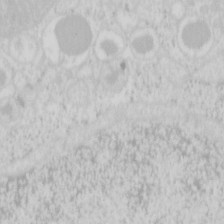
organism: Mouse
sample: Pancreas